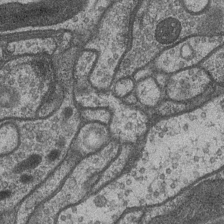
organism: Drosophila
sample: Optic medulla